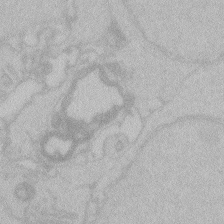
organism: Zebrafish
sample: Macrophage infected with Toxoplasma gondii